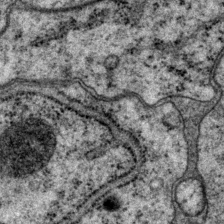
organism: P. pacificus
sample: Pharynx